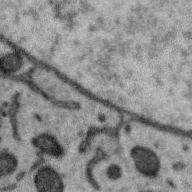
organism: Zebra finch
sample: Brain